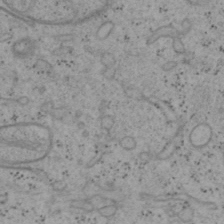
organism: Human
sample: HeLa cells